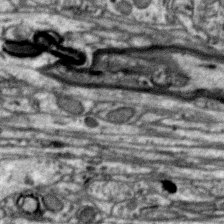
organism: Zebra finch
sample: Brain